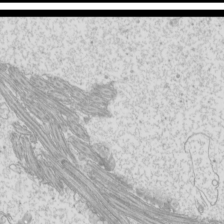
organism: Mouse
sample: Cilia; mouse epididymis